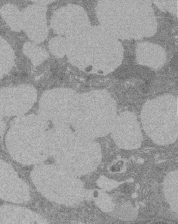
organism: Rat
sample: Salivary granule